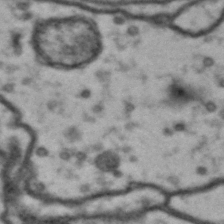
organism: Drosophila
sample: Brain